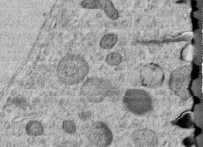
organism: C. elegans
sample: C. elegans embryo early stage